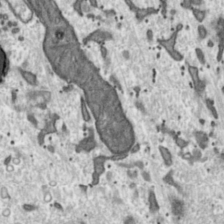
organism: Toxoplasma gondii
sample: Parasites in a vacuole inside a host cell